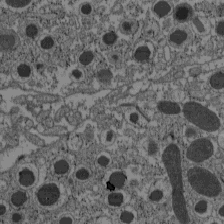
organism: C57BL Mouse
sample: Pancreatic islet